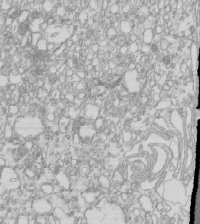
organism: Mouse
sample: Macrophages